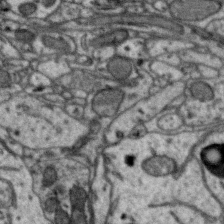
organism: Zebra finch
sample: Brain